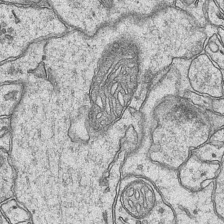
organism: Mouse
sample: CA1 Hippocampus